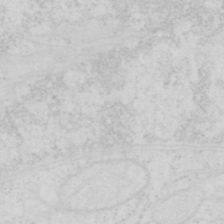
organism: Human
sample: SUM-159 cell